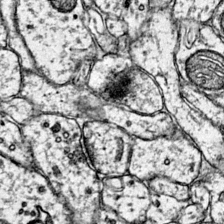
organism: Mouse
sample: Primary visual cortex